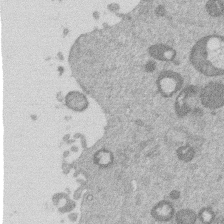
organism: Mouse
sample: Dividing mouse embryo 1 cell stage